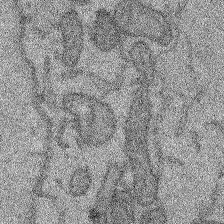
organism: Human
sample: HeLa cells